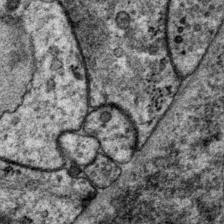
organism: P. pacificus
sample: Pharynx